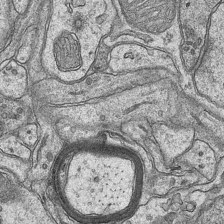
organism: Mouse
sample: CA1 Hippocampus